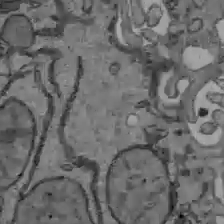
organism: C57BL Mouse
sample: Liver